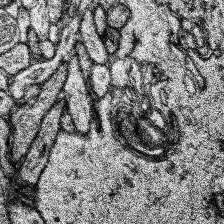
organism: Human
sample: Temporal Lobe